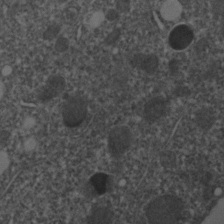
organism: C. elegans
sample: C. elegans embryo